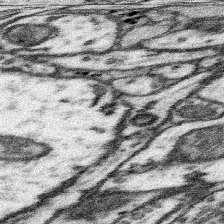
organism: Mouse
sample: Somatosensory cortex neuropil